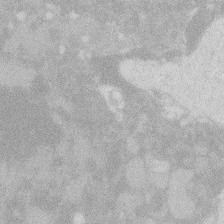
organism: Zebrafish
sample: Macrophage